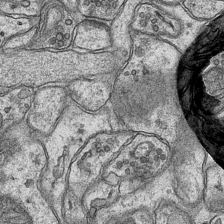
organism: Mouse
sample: CA1 Hippocampus